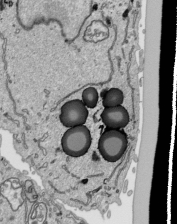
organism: Human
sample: Mitochondria in HCT116 cells